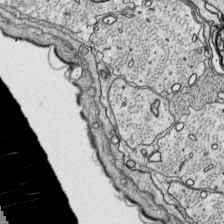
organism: Platynereis dumerilii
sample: Parapodia